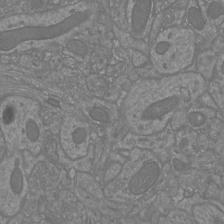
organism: Mouse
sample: Cortical neurons